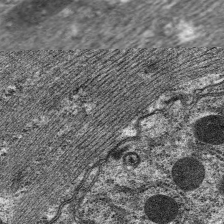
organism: C. elegans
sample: Pharynx